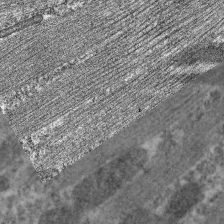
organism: C. elegans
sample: Pharynx